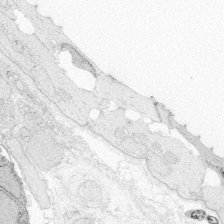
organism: Zebrafish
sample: Whole-Brain